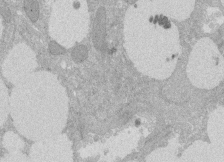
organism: Rat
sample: Salivary granule